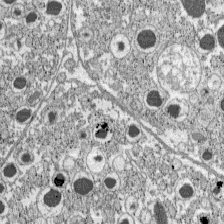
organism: C57BL Mouse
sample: Pancreatic islet